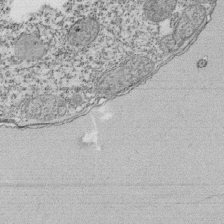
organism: Tetrahymena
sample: Cilia in tetrahymena